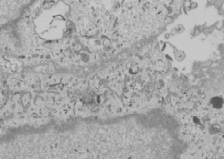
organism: Human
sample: Mitochondria in U2OS cells